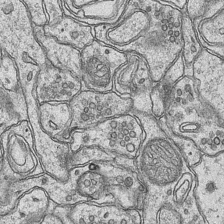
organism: Mouse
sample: CA1 Hippocampus